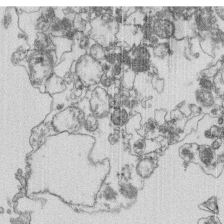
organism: Human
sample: HeLa cell HIV synapse